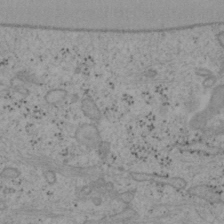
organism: Human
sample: HeLa cells